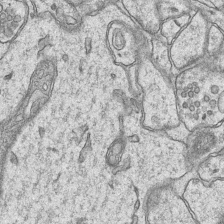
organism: Mouse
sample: CA1 Hippocampus